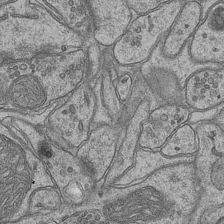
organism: Mouse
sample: CA1 Hippocampus